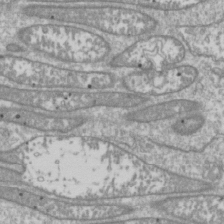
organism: Drosophila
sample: Cell division; meiosis; drosophila spermatocytes